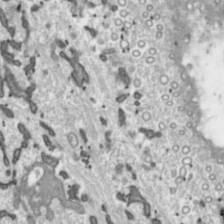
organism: Toxoplasma gondii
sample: Parasites in a vacuole inside a host cell